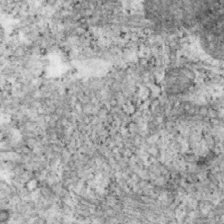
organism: Mouse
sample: OT-I killer T cells with ID8 ovarian cancer cells